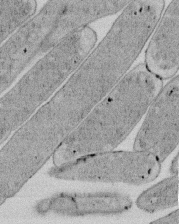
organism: E. coli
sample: Bacterial nucleoid